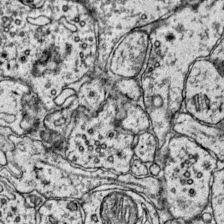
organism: Mouse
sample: Primary visual cortex